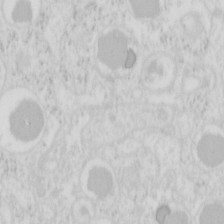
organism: Mouse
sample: Pancreas